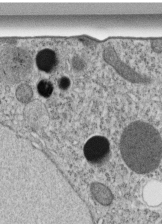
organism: C. elegans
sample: C. elegans embryo early stage